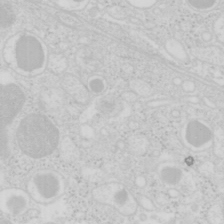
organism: Mouse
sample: Pancreas